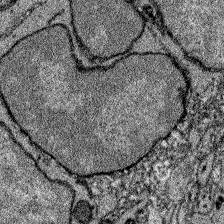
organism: Zebrafish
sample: Larval olfactory bulb